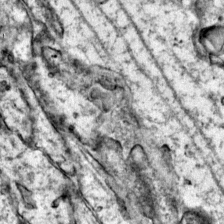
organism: Mouse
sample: Primary visual cortex